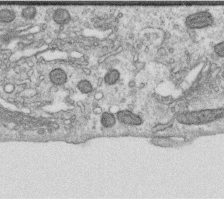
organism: Human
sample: Centriole in RPE cells